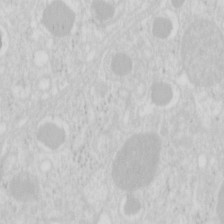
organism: Mouse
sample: Pancreas